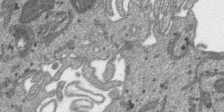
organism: Human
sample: Lung epithelial cells infected with SARS-CoV-2